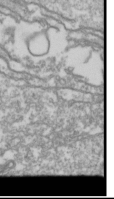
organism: Drosophila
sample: Cell division; meiosis; drosophila spermatocytes